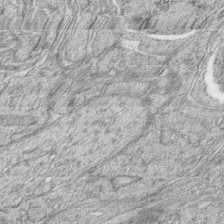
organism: Zebrafish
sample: synaptic ribbons in rod cells and cone cells